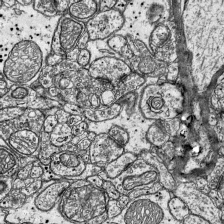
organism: Mouse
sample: Visual Cortex